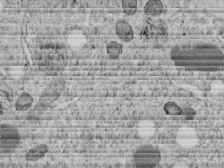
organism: C. elegans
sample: C. elegans embryo early stage